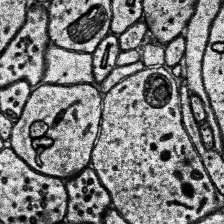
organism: Human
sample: Temporal Lobe